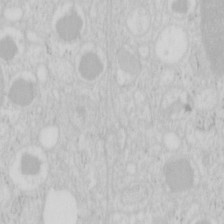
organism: Mouse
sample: Pancreas